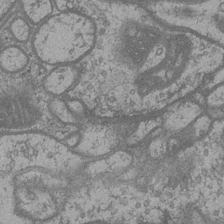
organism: Drosophila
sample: Optic medulla